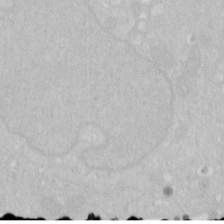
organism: Human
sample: HIV infected U937 cells